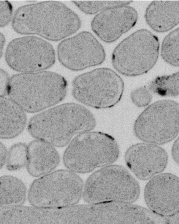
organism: E. coli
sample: Bacterial nucleoid